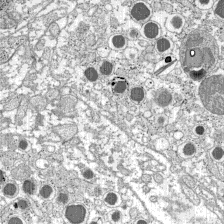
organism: C57BL Mouse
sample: Pancreatic islet